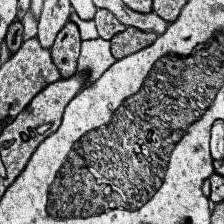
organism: Human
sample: Temporal Lobe